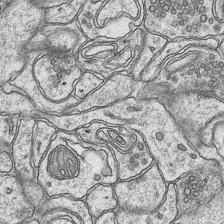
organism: Mouse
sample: CA1 Hippocampus